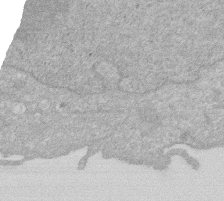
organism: Human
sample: HIV infected U937 cells